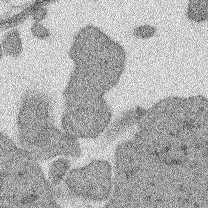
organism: Human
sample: HeLa cells